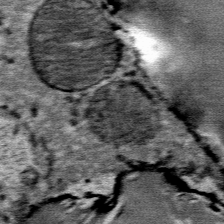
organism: Mouse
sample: Mouse Salivary gland